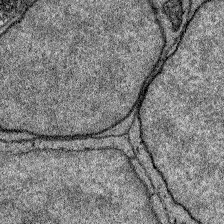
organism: Zebrafish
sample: Larval olfactory bulb